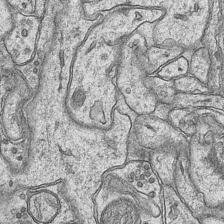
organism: Mouse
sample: CA1 Hippocampus